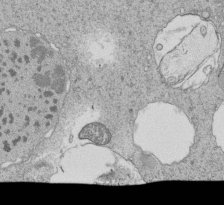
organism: Tetrahymena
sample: Cilia in tetrahymena